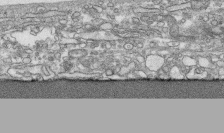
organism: Human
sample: CRL-1474